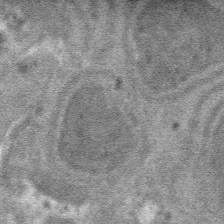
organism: Mouse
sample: Mouse hepatocytes